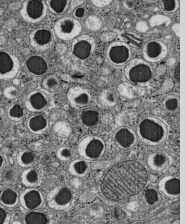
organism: C57BL Mouse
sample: Pancreatic islet